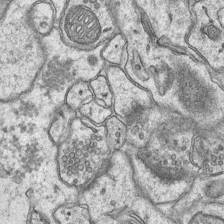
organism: Mouse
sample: CA1 Hippocampus